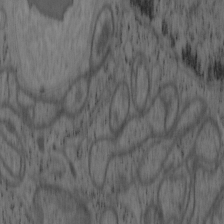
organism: Human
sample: HeLa cells